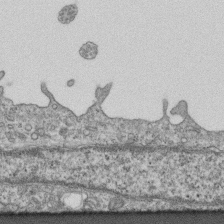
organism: Mouse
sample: Centriole in ependymal cells